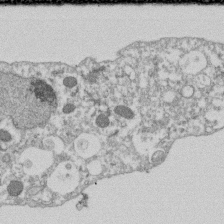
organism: Dictyostelium discoideum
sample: Dictyostelium multivesicular bodies